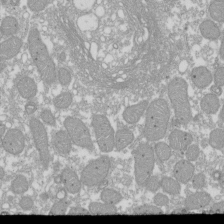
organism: Xenopus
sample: Cilia; centrioles in frog embryo cells